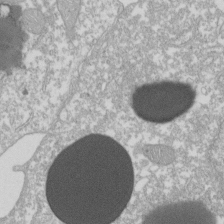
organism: Xenopus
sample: Cilia; centrioles in frog embryo cells